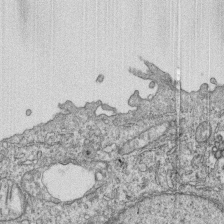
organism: Human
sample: HeLa cell HIV synapse